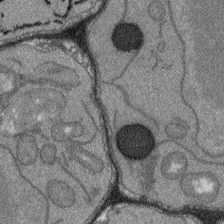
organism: Arabidopsis thaliana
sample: Root tip